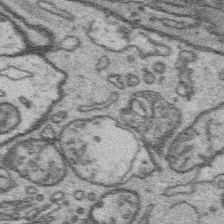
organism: Platynereis dumerilii